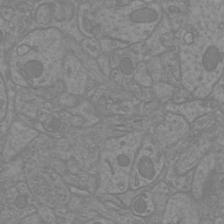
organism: Mouse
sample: Cortical neurons